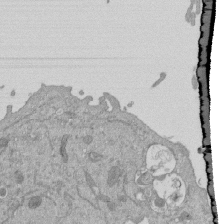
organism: Mouse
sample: ED-1 cell nuclei; centrioles